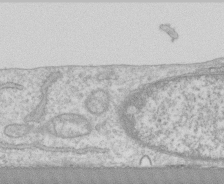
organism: Human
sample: CRL-1474